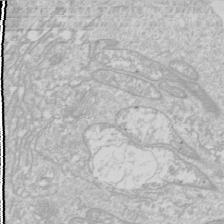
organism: Drosophila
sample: Cell division; meiosis; drosophila spermatocytes